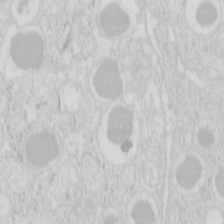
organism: Mouse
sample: Pancreas